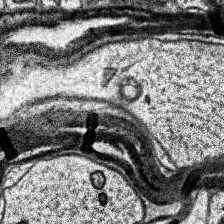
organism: Human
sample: Temporal Lobe